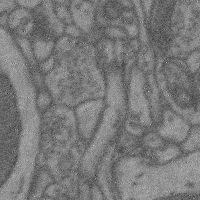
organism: Mouse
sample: Cerebral cortex